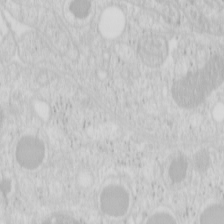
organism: Mouse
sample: Pancreas